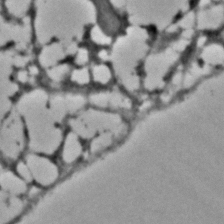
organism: C. elegans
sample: C. elegans embryo